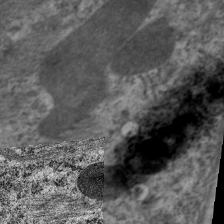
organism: C. elegans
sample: Pharynx